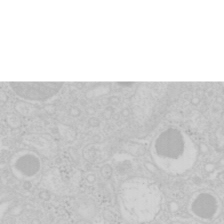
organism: Mouse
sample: Pancreas